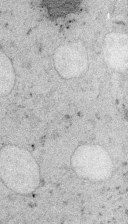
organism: Embia sp.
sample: Silk gland